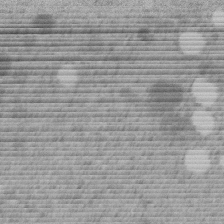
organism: C. elegans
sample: C. elegans embryo early stage